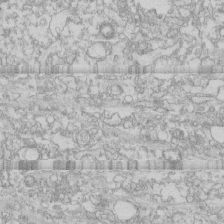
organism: Human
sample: CRL-1474